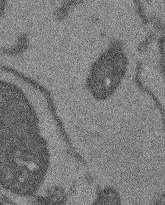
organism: Arabidopsis thaliana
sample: Root tip